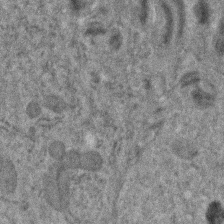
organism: Human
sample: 1205lu cells